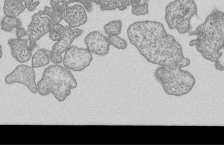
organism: Human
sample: MDA-MB-231 cells